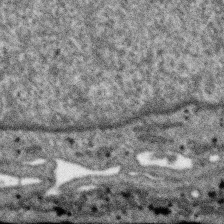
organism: Human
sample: Lung epithelial cells infected with SARS-CoV-2